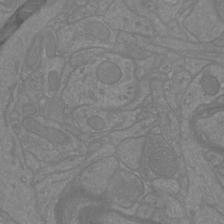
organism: Mouse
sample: Cortical neurons